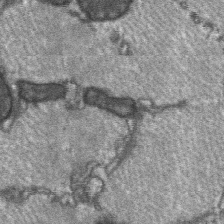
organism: C57BL Mouse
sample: Soleus